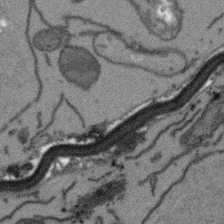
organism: Arabidopsis thaliana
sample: Root tip